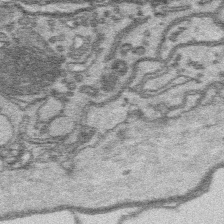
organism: Platynereis dumerilii